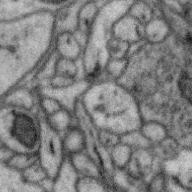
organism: Zebra finch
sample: Brain